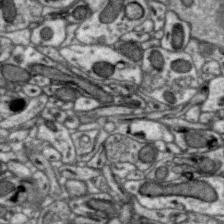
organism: Zebra finch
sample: Brain